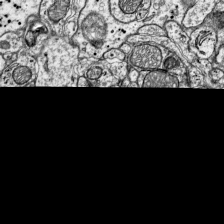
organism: Mouse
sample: Visual Cortex